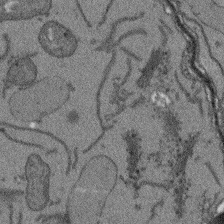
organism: Arabidopsis thaliana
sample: Root tip